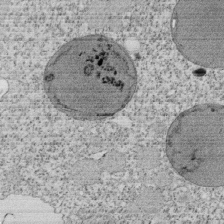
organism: Tetrahymena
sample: Cilia in tetrahymena